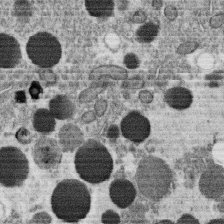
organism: C. elegans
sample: C. elegans oocyte; sperm cells